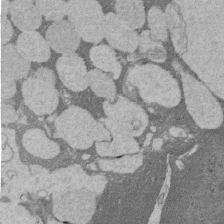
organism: Rat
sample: Salivary granule